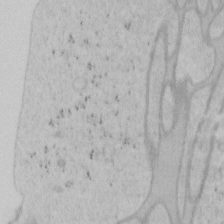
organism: Human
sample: HeLa cells